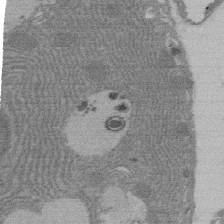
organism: Rat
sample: Salivary granule